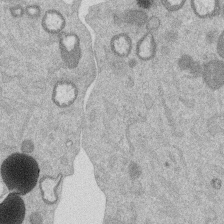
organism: Mouse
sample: Dividing mouse embryo 1 cell stage